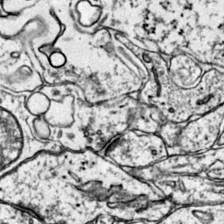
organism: Mouse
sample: Primary visual cortex